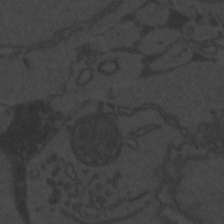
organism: Zebrafish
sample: Macrophage infected with Toxoplasma gondii